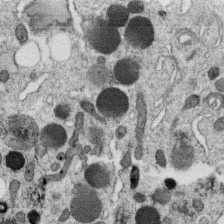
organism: C. elegans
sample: C. elegans oocyte; sperm cells